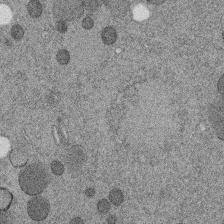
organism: C. elegans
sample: C. elegans embryo early stage